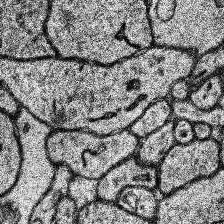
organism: Human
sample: Temporal Lobe